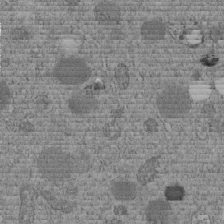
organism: C. elegans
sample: C. elegans embryo early stage